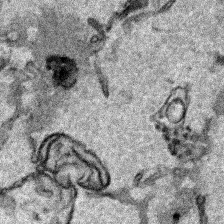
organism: Human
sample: Mitochondria in HCT116 cells